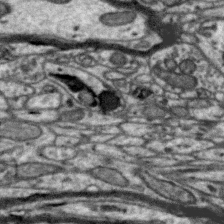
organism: Zebra finch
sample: Brain